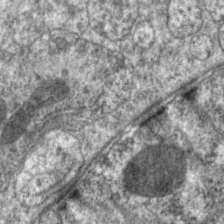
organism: C. elegans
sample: Pharynx